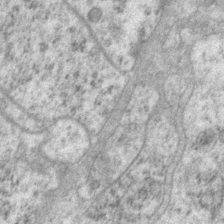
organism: P. pacificus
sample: Pharynx